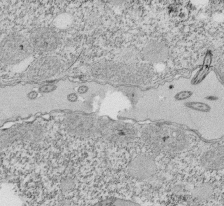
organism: Tetrahymena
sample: Cilia in tetrahymena